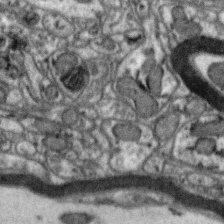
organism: Zebra finch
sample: Brain